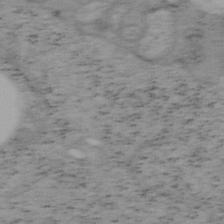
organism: Mouse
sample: OT-I killer T cells with ID8 ovarian cancer cells